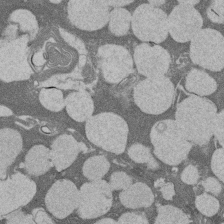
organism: Rat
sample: Salivary granule